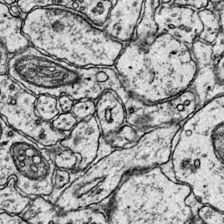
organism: Mouse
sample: Primary visual cortex